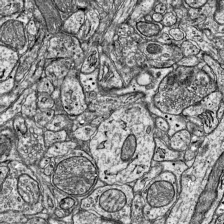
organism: Mouse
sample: Visual Cortex